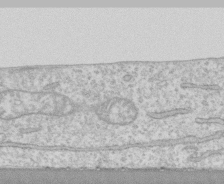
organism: Human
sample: CRL-1474